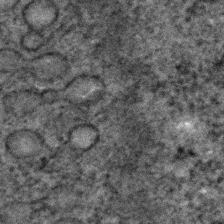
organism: C. elegans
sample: C. elegans embryo